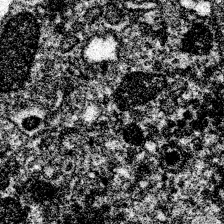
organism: Spongilla lacustris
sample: Neuroid cell